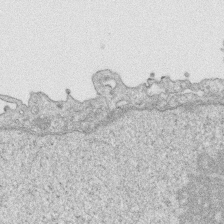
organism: Human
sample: HeLa cell HIV synapse